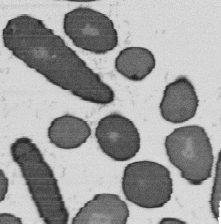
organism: B. subtilis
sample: Bacterial spore